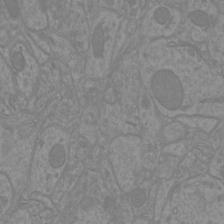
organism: Mouse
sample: Cortical neurons